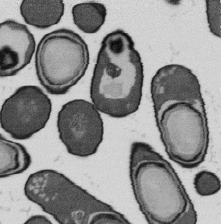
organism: B. subtilis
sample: Bacterial spore